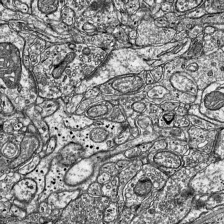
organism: Mouse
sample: Visual Cortex